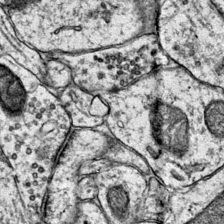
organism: Mouse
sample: Primary visual cortex